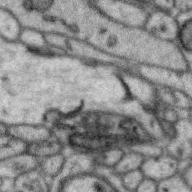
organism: Zebra finch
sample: Brain